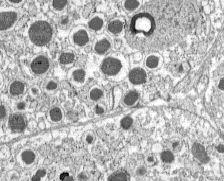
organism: C57BL Mouse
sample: Pancreatic islet